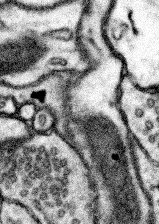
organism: Mouse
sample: Somatosensory cortex neuropil